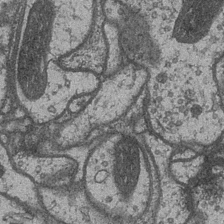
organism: Drosophila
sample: Optic medulla